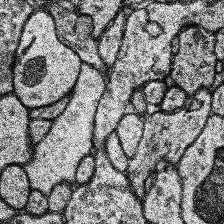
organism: Human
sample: Temporal Lobe